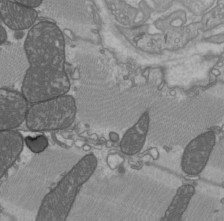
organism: C57BL Mouse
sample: Heart